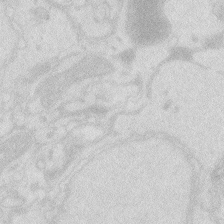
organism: Zebrafish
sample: Macrophage